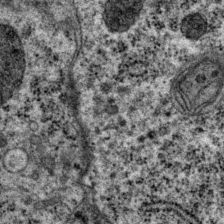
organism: P. pacificus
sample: Pharynx